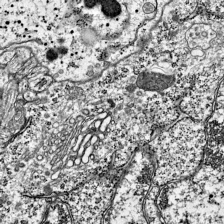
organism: Mouse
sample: Visual Cortex